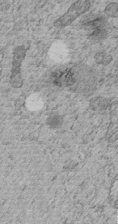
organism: C. elegans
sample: C. elegans embryo early stage